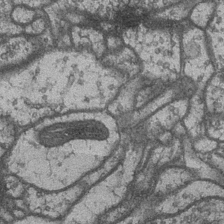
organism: Drosophila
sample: Optic medulla